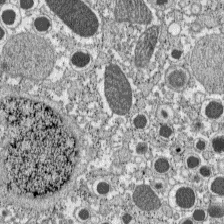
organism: C57BL Mouse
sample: Pancreatic islet